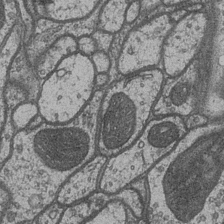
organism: Drosophila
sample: Optic medulla